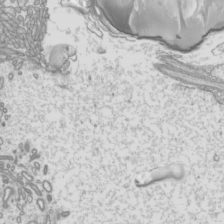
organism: Mouse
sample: Cilia; mouse epididymis